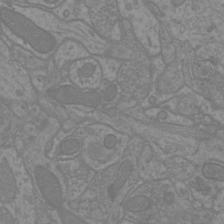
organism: Mouse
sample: Cortical neurons